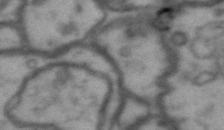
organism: Drosophila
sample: Brain